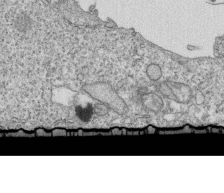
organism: Human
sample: HeLa cell HIV synapse